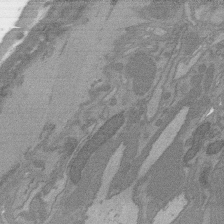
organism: C. elegans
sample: AFD neurons C. elegans